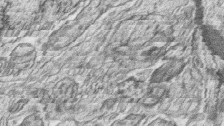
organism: Zebrafish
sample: synaptic ribbons in rod cells and cone cells